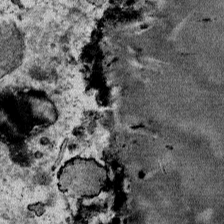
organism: Mouse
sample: Mouse Salivary gland